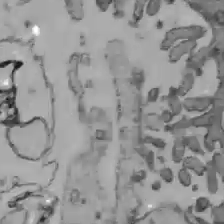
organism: C57BL Mouse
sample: Liver